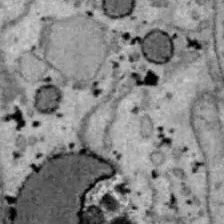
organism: Mouse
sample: Liver from an obese (ob/ob) mouse